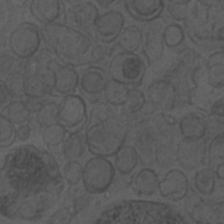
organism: C. elegans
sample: C. elegans embryo